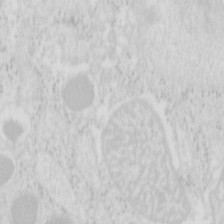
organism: Mouse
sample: Pancreas